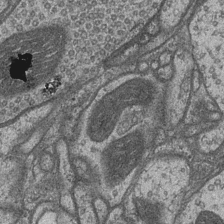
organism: Drosophila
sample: Optic medulla